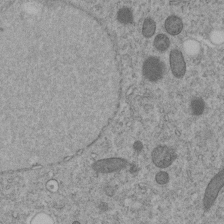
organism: C. elegans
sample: C. elegans embryo early stage